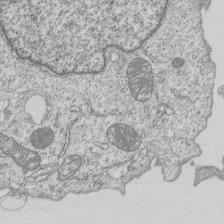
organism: Human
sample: MDA-MB-231 cells